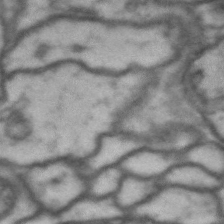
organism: Drosophila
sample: Brain